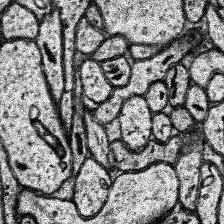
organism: Human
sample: Temporal Lobe